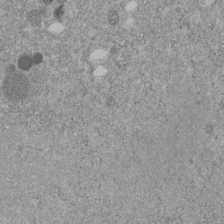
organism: C. elegans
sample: C. elegans embryo early stage